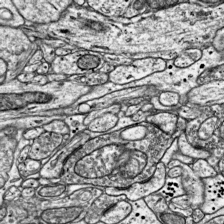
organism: Mouse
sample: Visual Cortex